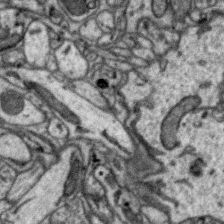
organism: Zebra finch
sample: Brain